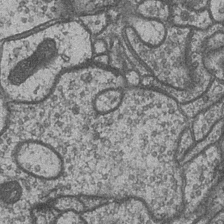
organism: Drosophila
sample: Optic medulla